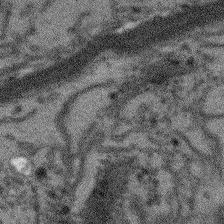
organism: Arabidopsis thaliana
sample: Root tip